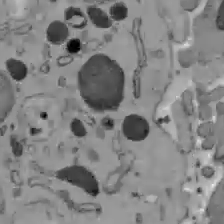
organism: C57BL Mouse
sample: Liver